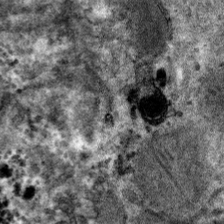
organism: Mouse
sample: Mouse hepatocytes